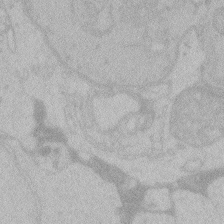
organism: Zebrafish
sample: Macrophage infected with Toxoplasma gondii